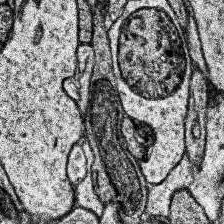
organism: Human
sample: Temporal Lobe